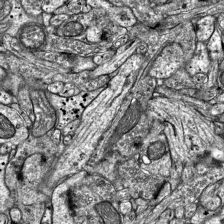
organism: Mouse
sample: Visual Cortex